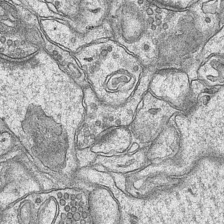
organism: Mouse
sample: CA1 Hippocampus